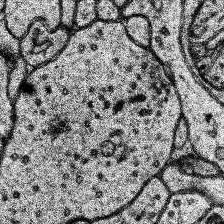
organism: Human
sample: Temporal Lobe